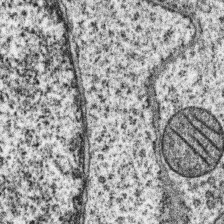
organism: Human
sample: HeLa cells